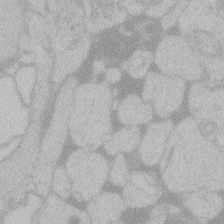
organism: Zebrafish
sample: Macrophage infected with Toxoplasma gondii